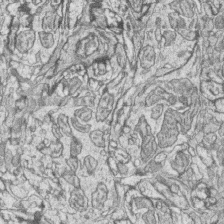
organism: Zebrafish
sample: synaptic ribbons in rod cells and cone cells